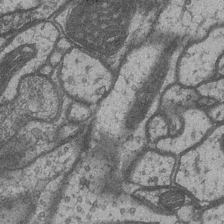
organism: Drosophila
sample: Optic medulla